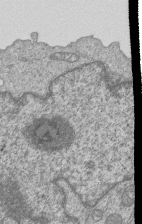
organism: Human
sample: MDA-MB-231 cells